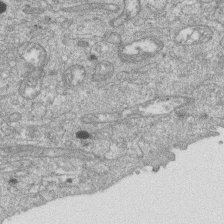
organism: Human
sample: HeLa cell HIV synapse